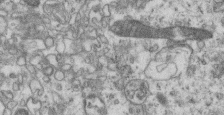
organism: Mouse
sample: Centriole in ependymal cells